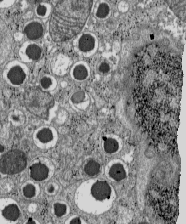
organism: C57BL Mouse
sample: Pancreatic islet